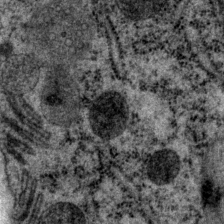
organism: P. pacificus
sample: Pharynx